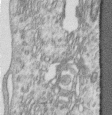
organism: Human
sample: Centriole in RPE cells